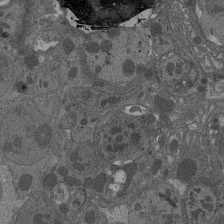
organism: Drosophila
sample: Antenna